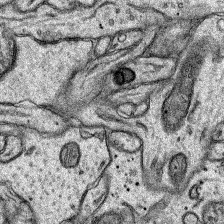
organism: Rat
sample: Hippocampus